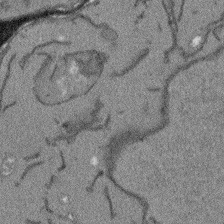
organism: Arabidopsis thaliana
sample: Root tip